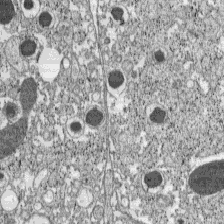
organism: C57BL Mouse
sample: Pancreatic islet